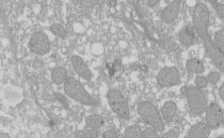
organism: Xenopus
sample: Cilia; centrioles in frog embryo cells